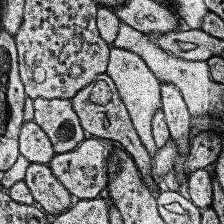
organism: Human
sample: Temporal Lobe